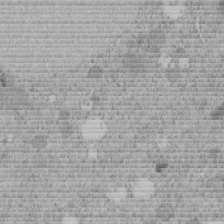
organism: C. elegans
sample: C. elegans embryo early stage